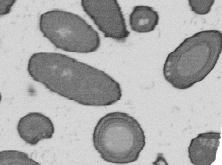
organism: B. subtilis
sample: Bacterial spore